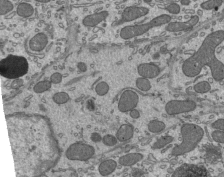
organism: Mouse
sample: Mouse epididymis efferent ductule cilia